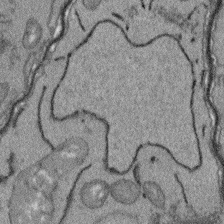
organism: Arabidopsis thaliana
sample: Root tip